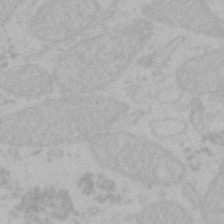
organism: Mouse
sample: Choroid plexus